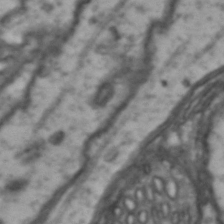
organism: Drosophila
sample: Brain